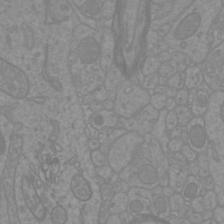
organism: Mouse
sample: Cortical neurons